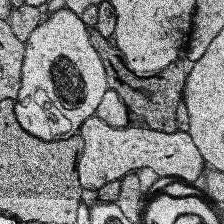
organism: Human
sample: Temporal Lobe